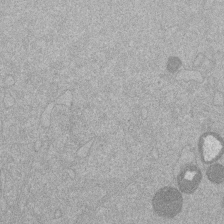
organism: Mouse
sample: Dividing mouse embryo 1 cell stage